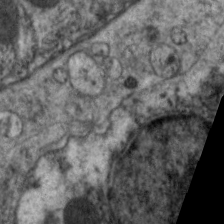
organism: C. elegans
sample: Pharynx